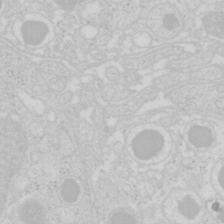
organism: Mouse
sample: Pancreas